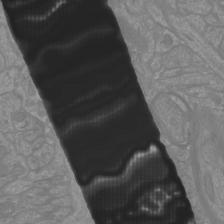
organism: Mouse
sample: Cortical neurons